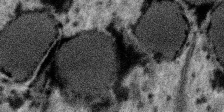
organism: Human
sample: Lung epithelial cells infected with SARS-CoV-2